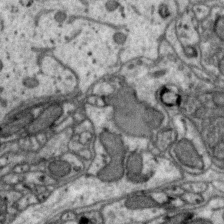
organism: Zebra finch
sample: Brain